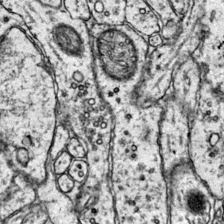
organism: Mouse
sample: Primary visual cortex